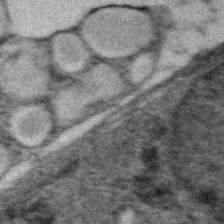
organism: Zebrafish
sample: Zebrafish embryo